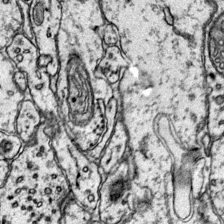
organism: Mouse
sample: Primary visual cortex